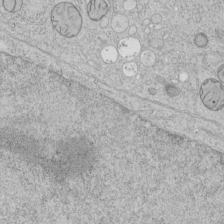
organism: Human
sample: Mitochondria in HCT116 cells